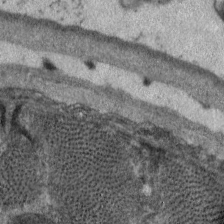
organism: C. elegans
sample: Pharynx